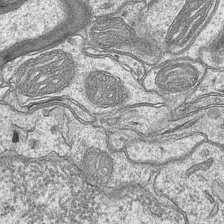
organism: Mouse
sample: CA1 Hippocampus